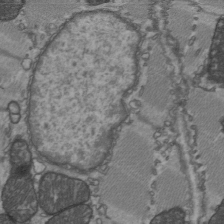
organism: C57BL Mouse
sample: Heart